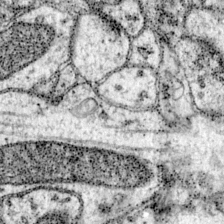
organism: Mouse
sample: Primary visual cortex